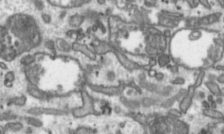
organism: Toxoplasma gondii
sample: Parasites in a vacuole inside a host cell